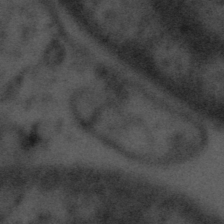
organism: Tuwongella immobilis